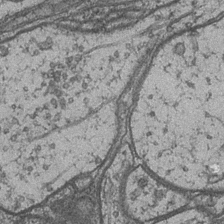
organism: Drosophila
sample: Optic medulla